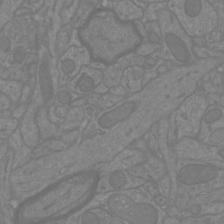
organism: Mouse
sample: Cortical neurons